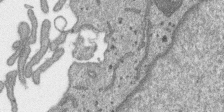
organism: Human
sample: Lung epithelial cells infected with SARS-CoV-2